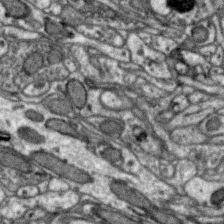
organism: Zebra finch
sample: Brain